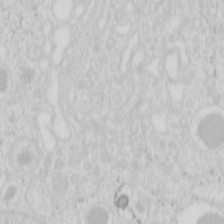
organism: Mouse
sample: Pancreas